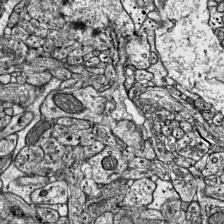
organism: Mouse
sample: Visual Cortex